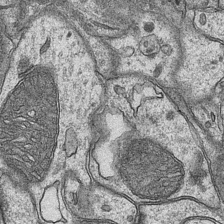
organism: Mouse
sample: CA1 Hippocampus